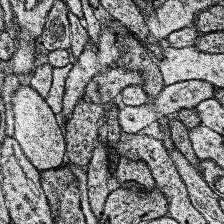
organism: Human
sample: Temporal Lobe